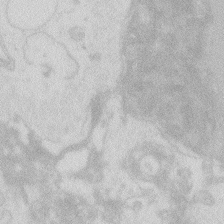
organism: Zebrafish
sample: Macrophage